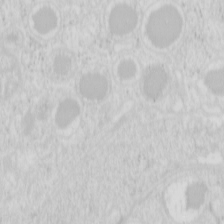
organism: Mouse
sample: Pancreas